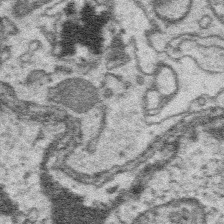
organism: Platynereis dumerilii